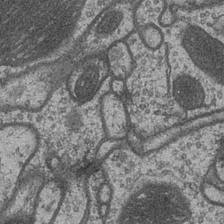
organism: Drosophila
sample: Optic medulla